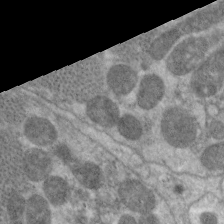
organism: C. elegans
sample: Pharynx